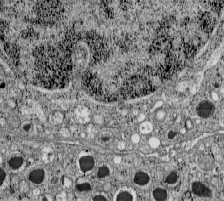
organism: C57BL Mouse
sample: Pancreatic islet